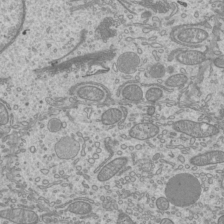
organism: Mouse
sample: Cilia; mouse epididymis